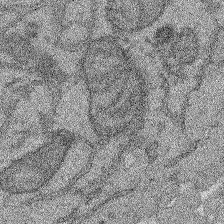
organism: Human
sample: HeLa cells